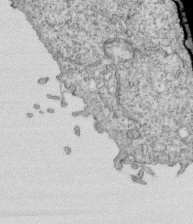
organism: Human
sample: HeLa cell HIV synapse